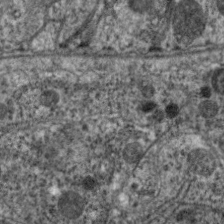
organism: C. elegans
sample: Pharynx